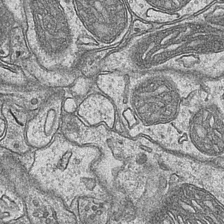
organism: Mouse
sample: CA1 Hippocampus